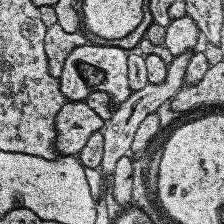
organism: Human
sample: Temporal Lobe